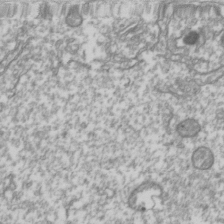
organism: Drosophila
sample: Cell division; meiosis; drosophila spermatocytes